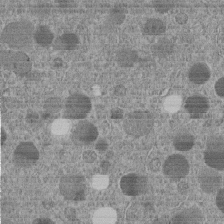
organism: C. elegans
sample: C. elegans embryo early stage